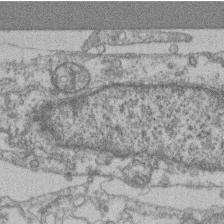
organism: Mouse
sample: T cell stromal cell synapse